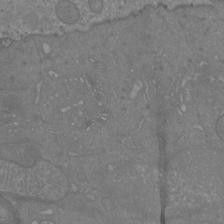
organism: Mouse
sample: Cortical neurons